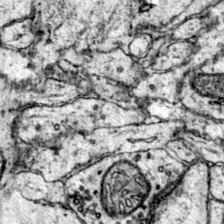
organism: Mouse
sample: Primary visual cortex